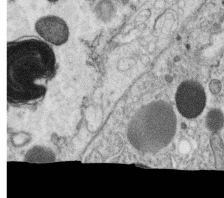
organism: C. elegans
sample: C. elegans oocyte; sperm cells